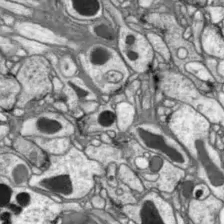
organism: Drosophila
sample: Optic lobe